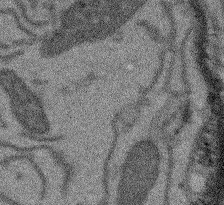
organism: Arabidopsis thaliana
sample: Root tip